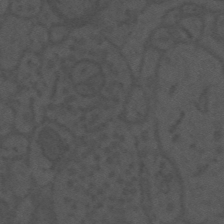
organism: Mouse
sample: Suprachiasmatic nucleus